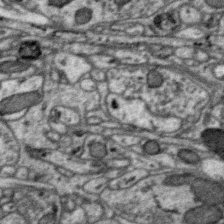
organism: Zebra finch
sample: Brain